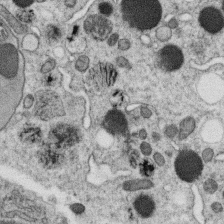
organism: C. elegans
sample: C. elegans oocyte; sperm cells